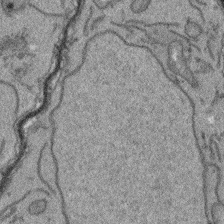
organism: Arabidopsis thaliana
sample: Root tip